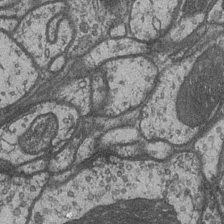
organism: Drosophila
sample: Optic medulla